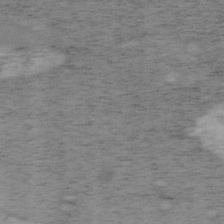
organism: Mouse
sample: OT-I killer T cells with ID8 ovarian cancer cells